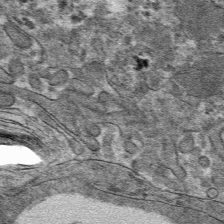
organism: Mouse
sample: Mouse hepatocytes